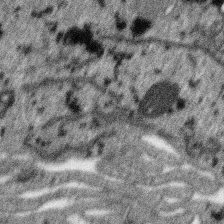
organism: Human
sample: Lung epithelial cells infected with SARS-CoV-2